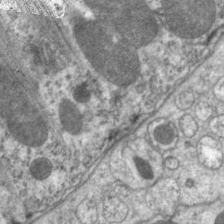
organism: C. elegans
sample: Pharynx